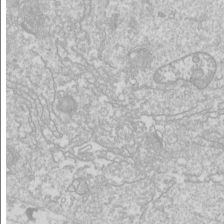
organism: Drosophila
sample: Cell division; meiosis; drosophila spermatocytes